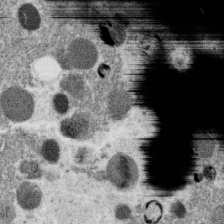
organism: C. elegans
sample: C. elegans oocyte; sperm cells